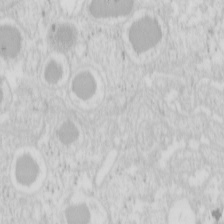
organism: Mouse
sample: Pancreas